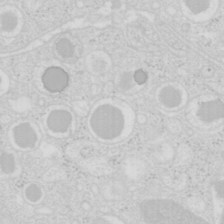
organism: Mouse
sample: Pancreas